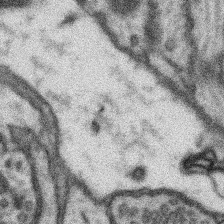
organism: Mouse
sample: Somatosensory cortex neuropil